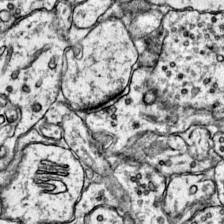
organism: Mouse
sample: Primary visual cortex